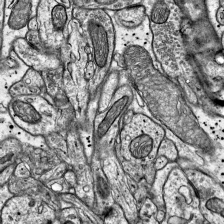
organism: Mouse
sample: Visual Cortex